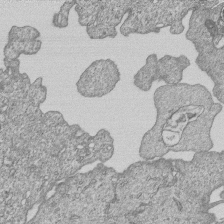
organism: Human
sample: MDA-MB-231 cells